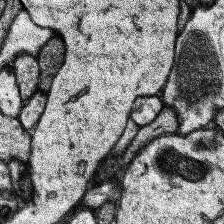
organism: Human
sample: Temporal Lobe